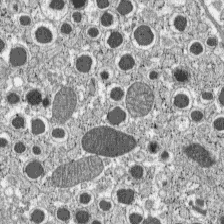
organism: C57BL Mouse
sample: Pancreatic islet